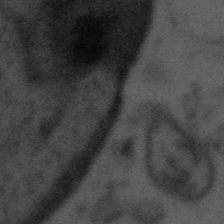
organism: Tuwongella immobilis